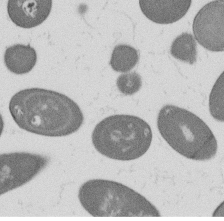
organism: B. subtilis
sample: Bacterial spore